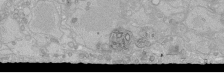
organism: Human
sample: Caco-2 cells